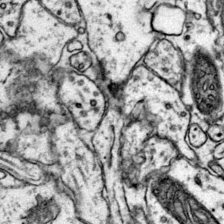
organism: Mouse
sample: Primary visual cortex